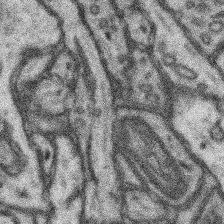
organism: Mouse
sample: Somatosensory cortex neuropil